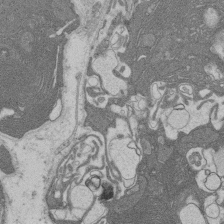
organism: Rat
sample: Salivary granule